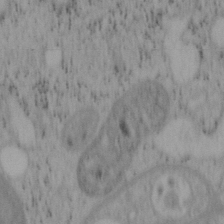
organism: Mouse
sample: OT-I killer T cells with ID8 ovarian cancer cells